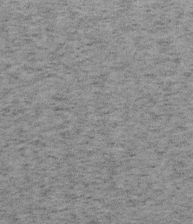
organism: Mouse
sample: OT-I killer T cells with ID8 ovarian cancer cells